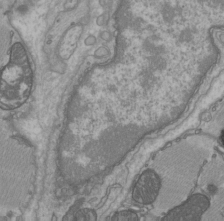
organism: C57BL Mouse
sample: Heart